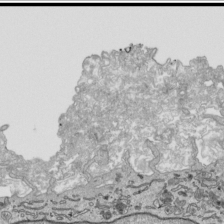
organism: Human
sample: Mitochondria in HCT116 cells